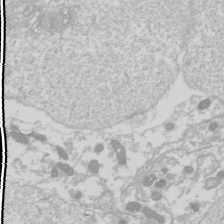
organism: Drosophila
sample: Cell division; meiosis; drosophila spermatocytes